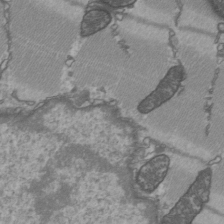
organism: C57BL Mouse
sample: Heart